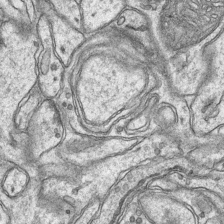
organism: Mouse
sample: CA1 Hippocampus